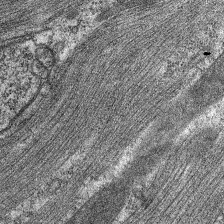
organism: C. elegans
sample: Pharynx